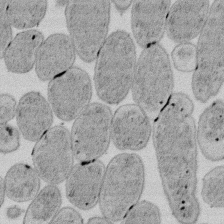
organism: E. coli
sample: Bacterial nucleoid